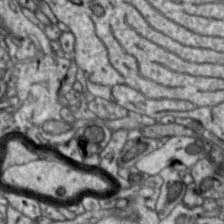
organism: Zebra finch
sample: Brain